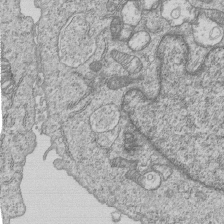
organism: Human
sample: MDA-MB-231 cells